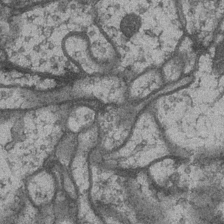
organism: Drosophila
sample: Optic medulla